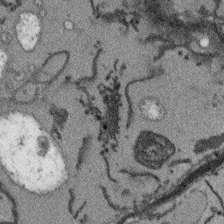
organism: Arabidopsis thaliana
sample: Root tip